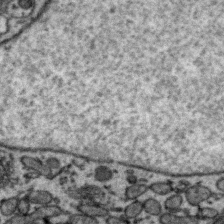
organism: Zebra finch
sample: Brain